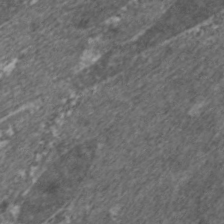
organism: C. elegans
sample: Pharynx